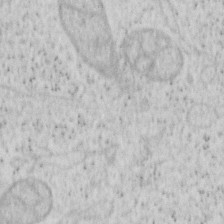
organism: Human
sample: HeLa cells